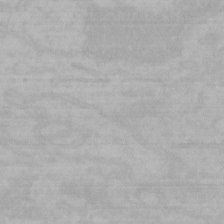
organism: Mouse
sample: Choroid plexus